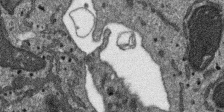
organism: Human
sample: Lung epithelial cells infected with SARS-CoV-2